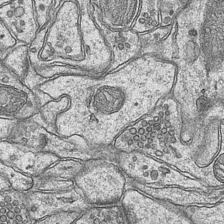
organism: Mouse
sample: CA1 Hippocampus